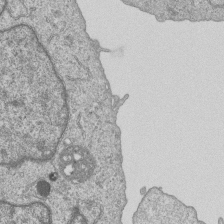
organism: Human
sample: MDA-MB-231 cells